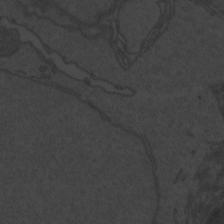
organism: Zebrafish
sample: Macrophage infected with Toxoplasma gondii